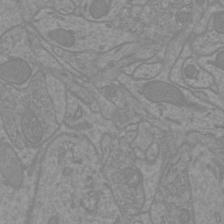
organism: Mouse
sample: Cortical neurons